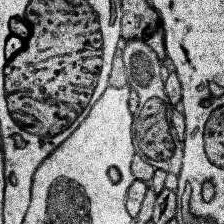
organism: Human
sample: Temporal Lobe